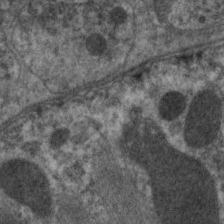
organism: C. elegans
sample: Pharynx